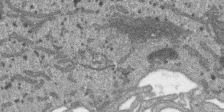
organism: Human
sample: Lung epithelial cells infected with SARS-CoV-2